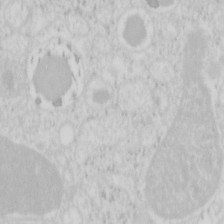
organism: Mouse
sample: Pancreas